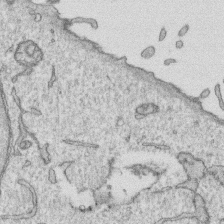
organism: Human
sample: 1205lu cells